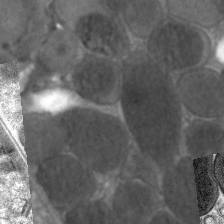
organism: C. elegans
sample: Pharynx